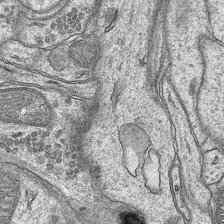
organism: Mouse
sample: CA1 Hippocampus